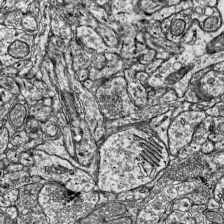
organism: Mouse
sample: Visual Cortex